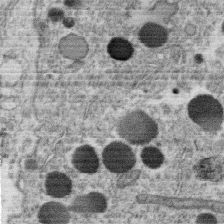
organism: C. elegans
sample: C. elegans oocyte; sperm cells